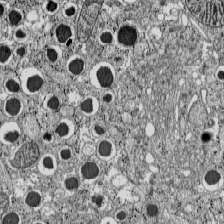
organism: C57BL Mouse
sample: Pancreatic islet